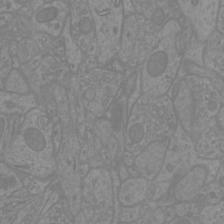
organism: Mouse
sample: Cortical neurons